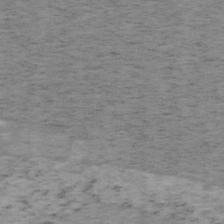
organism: Mouse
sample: OT-I killer T cells with ID8 ovarian cancer cells